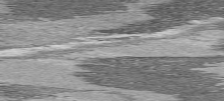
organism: C57BL Mouse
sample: Heart